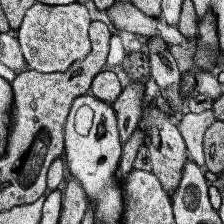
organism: Human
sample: Temporal Lobe